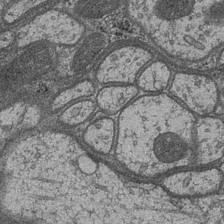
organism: Drosophila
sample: Optic medulla